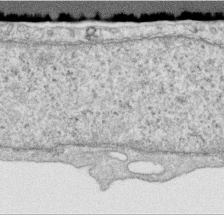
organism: Human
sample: Centriole in RPE cells